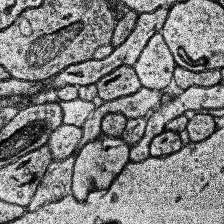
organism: Human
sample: Temporal Lobe